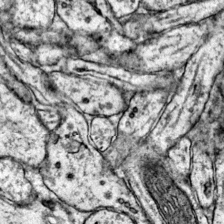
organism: Mouse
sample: Primary visual cortex